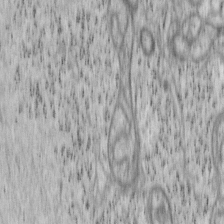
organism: Human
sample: HeLa cells